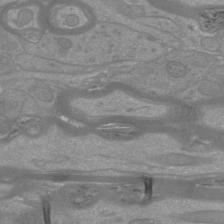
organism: Mouse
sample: Cortical neurons